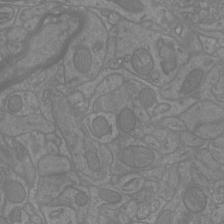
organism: Mouse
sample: Cortical neurons